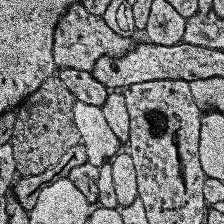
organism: Human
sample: Temporal Lobe